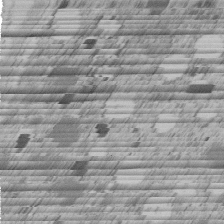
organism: C. elegans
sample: C. elegans embryo early stage